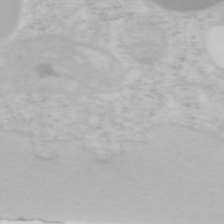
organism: Mouse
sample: OT-I killer T cells with ID8 ovarian cancer cells